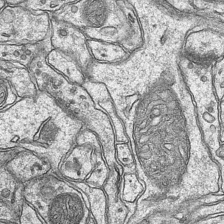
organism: Mouse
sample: CA1 Hippocampus